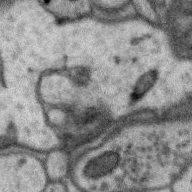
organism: Zebra finch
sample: Brain